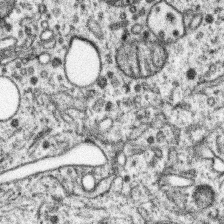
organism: Human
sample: HeLa cells